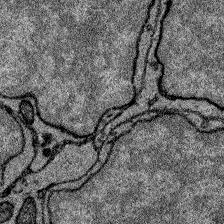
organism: Zebrafish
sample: Larval olfactory bulb